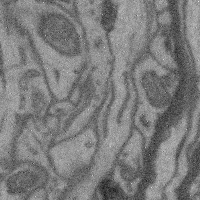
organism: Mouse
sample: Cerebral cortex